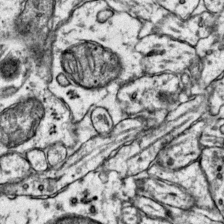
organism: Mouse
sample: Primary visual cortex